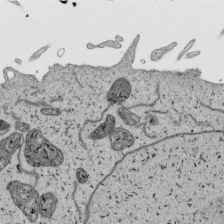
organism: Human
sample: Mitochondria in HCT116 cells